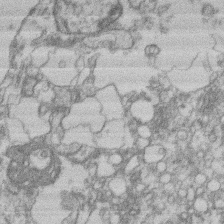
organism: Mouse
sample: T cell stromal cell synapse